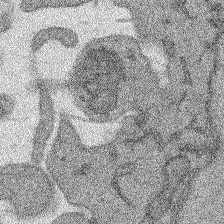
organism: Human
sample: HeLa cells